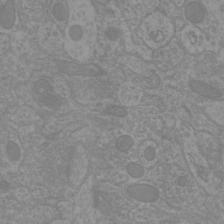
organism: Mouse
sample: Cortical neurons